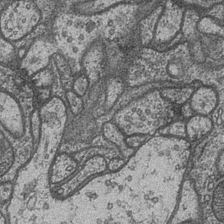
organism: Drosophila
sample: Optic medulla